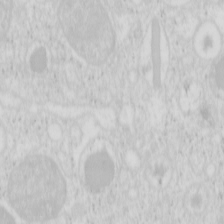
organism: Mouse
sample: Pancreas